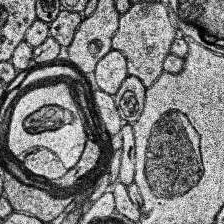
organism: Human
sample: Temporal Lobe